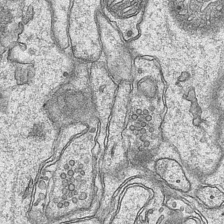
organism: Mouse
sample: CA1 Hippocampus